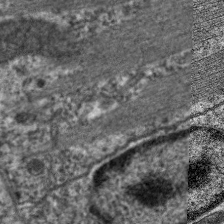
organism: C. elegans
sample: Pharynx